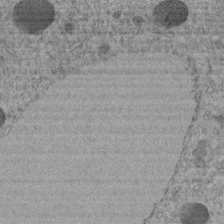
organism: C. elegans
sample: C. elegans embryo early stage